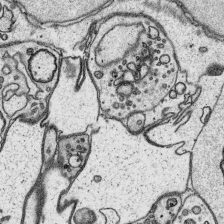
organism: Platynereis dumerilii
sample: Parapodia